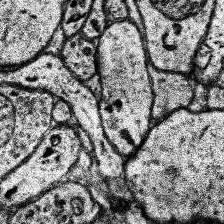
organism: Human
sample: Temporal Lobe